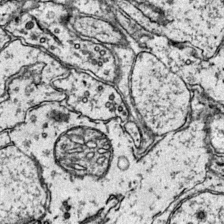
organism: Mouse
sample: Primary visual cortex